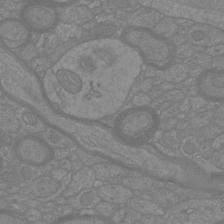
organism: Mouse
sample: Cortical neurons